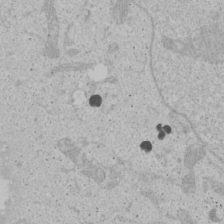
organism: Human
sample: Mitochondria in U2OS cells